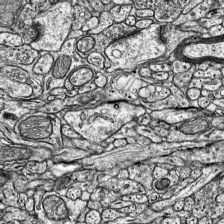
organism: Mouse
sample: Visual Cortex